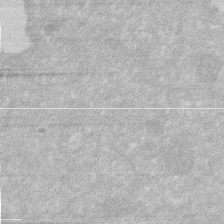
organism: Human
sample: HIV infected U937 cells